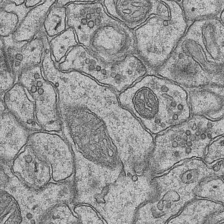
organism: Mouse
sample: CA1 Hippocampus